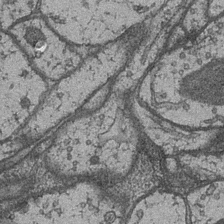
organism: Drosophila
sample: Optic medulla